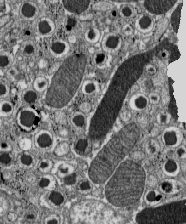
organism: C57BL Mouse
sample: Pancreatic islet